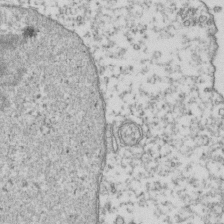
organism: Human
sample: Activated Jurkat CD4+ T cells